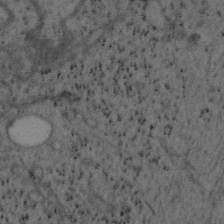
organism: Human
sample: HeLa cells